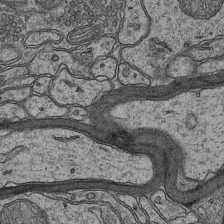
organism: Mouse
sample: CA1 Hippocampus